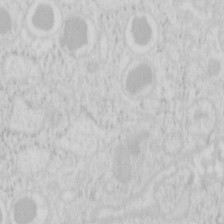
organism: Mouse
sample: Pancreas